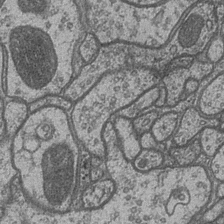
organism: Drosophila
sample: Optic medulla